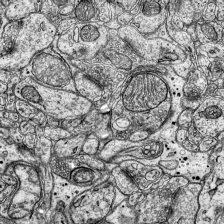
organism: Mouse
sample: Visual Cortex